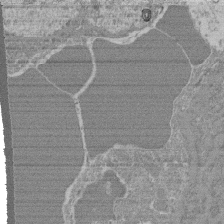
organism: Mouse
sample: Glomerulus